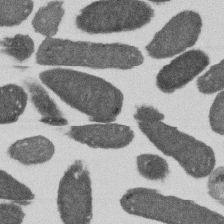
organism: E. coli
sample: Bacterial nucleoid